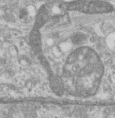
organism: Human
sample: Centriole in RPE cells